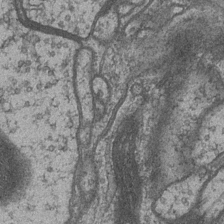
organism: Drosophila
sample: Optic medulla